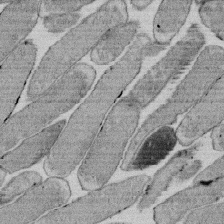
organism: E. coli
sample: Bacterial nucleoid